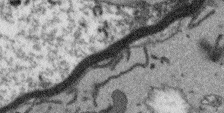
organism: Arabidopsis thaliana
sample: Root tip